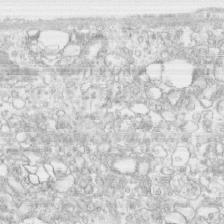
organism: Human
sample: CRL-1474